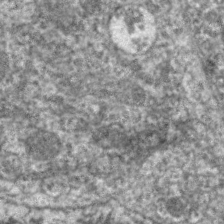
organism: C. elegans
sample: Pharynx